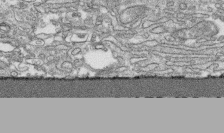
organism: Human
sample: CRL-1474